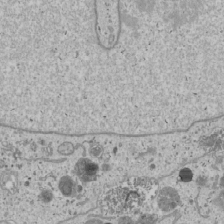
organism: Human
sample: Mitochondria in U2OS cells